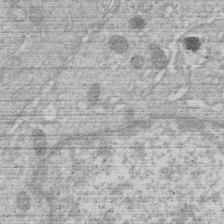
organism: Human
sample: Macrophage cells